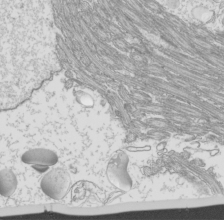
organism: Mouse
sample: Cilia; mouse epididymis